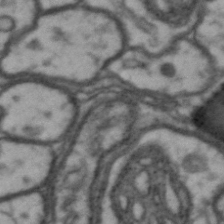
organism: Drosophila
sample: Brain